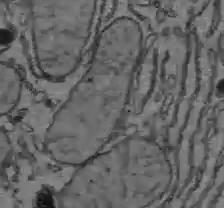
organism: C57BL Mouse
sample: Liver